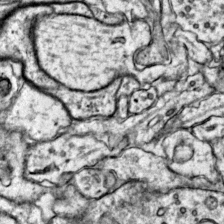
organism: Mouse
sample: Primary visual cortex